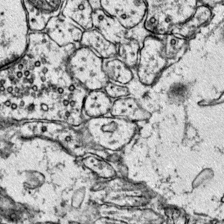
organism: Mouse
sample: Primary visual cortex